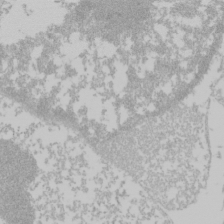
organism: Mouse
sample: Cancer cell death in ED-1 cells